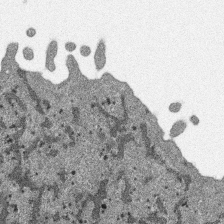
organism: Human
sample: Lung epithelial cells infected with SARS-CoV-2